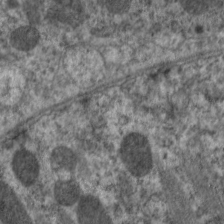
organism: C. elegans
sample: Pharynx